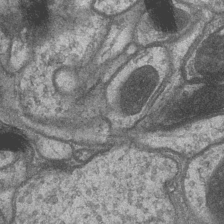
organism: Drosophila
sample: Optic medulla